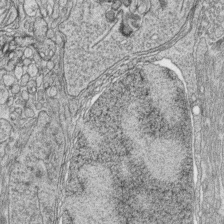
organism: Zebrafish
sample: synaptic ribbons in rod cells and cone cells